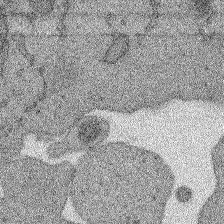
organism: Human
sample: HeLa cells